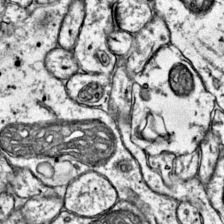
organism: Mouse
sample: Primary visual cortex